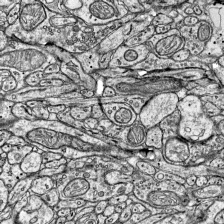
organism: Mouse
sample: Visual Cortex